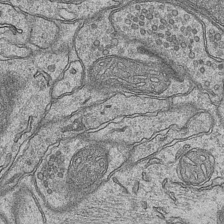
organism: Mouse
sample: CA1 Hippocampus